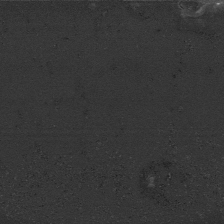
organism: Human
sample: Mitochondria in HCT116 cells